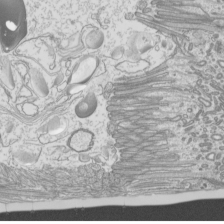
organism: Mouse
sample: Cilia; mouse epididymis